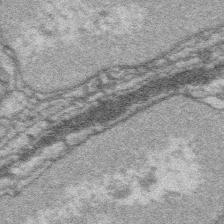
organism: Platynereis dumerilii